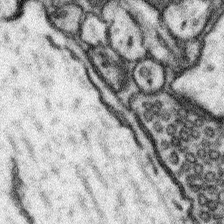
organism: Mouse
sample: Somatosensory cortex neuropil